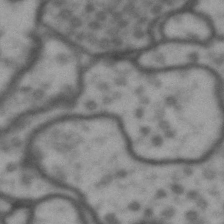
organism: Drosophila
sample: Brain